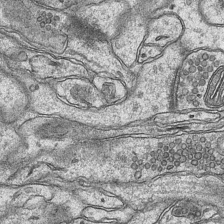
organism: Mouse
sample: CA1 Hippocampus